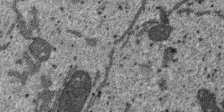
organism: Human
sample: Lung epithelial cells infected with SARS-CoV-2